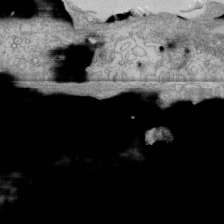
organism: Human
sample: Fibroblast cells